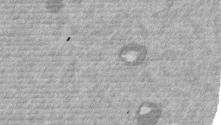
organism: Mouse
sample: Dividing mouse embryo 1 cell stage